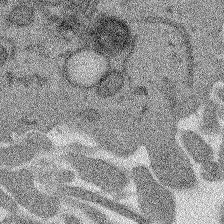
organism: Human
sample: HeLa cells